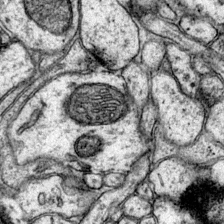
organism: Mouse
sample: Primary visual cortex